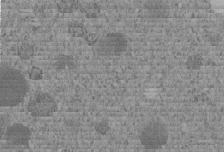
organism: C. elegans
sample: C. elegans embryo early stage